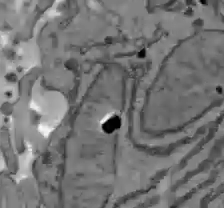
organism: C57BL Mouse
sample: Liver